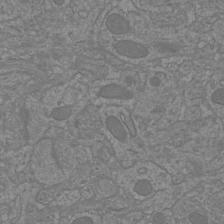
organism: Mouse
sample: Cortical neurons